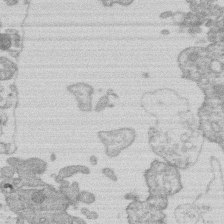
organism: Human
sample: Macrophage cells